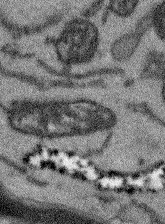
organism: Arabidopsis thaliana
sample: Root tip